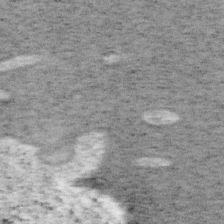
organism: Mouse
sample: OT-I killer T cells with ID8 ovarian cancer cells